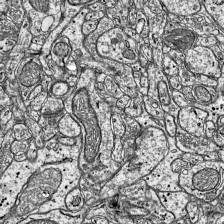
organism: Mouse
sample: Visual Cortex